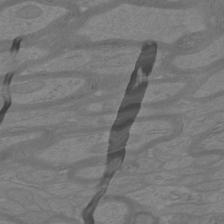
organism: Mouse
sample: Cortical neurons